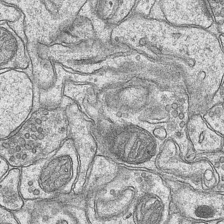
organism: Mouse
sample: CA1 Hippocampus